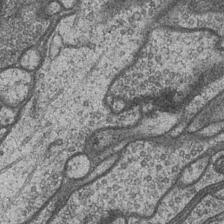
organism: Drosophila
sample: Optic medulla